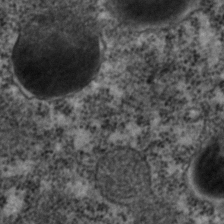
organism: C. elegans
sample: C. elegans embryo